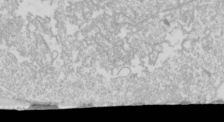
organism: Drosophila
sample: Cell division; meiosis; drosophila spermatocytes